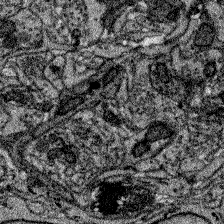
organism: Zebrafish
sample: Larval olfactory bulb